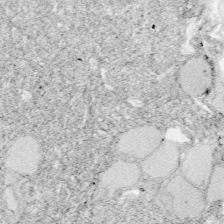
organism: Zebrafish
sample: Whole-Brain